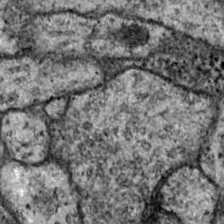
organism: Drosophila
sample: Ventral Nerve Cord